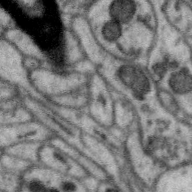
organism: Zebra finch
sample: Brain